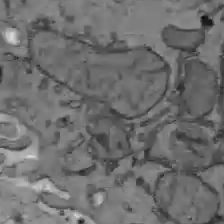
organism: C57BL Mouse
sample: Liver